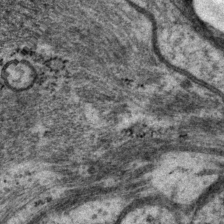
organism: P. pacificus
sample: Pharynx